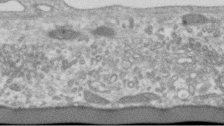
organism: Human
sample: Centriole in RPE cells